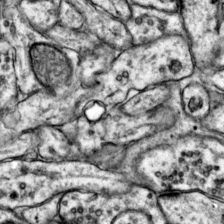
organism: Mouse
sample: Primary visual cortex